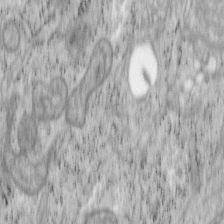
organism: Human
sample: HeLa cells